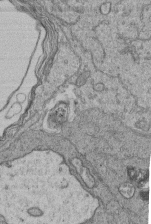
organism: Human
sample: Retinal organoid Rod and Cone cells